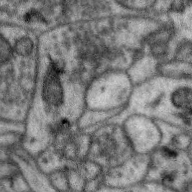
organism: Zebra finch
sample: Brain